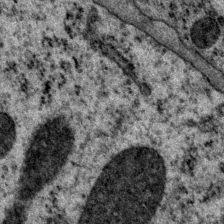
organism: P. pacificus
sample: Pharynx